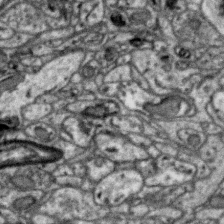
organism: Zebra finch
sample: Brain